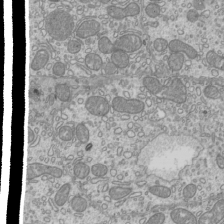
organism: Mouse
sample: Cilia; mouse epididymis